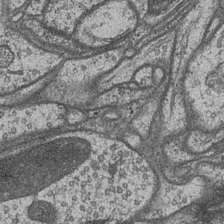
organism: Drosophila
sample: Optic medulla